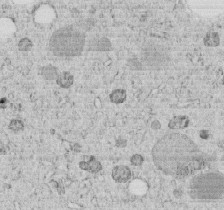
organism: C. elegans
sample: C. elegans embryo early stage